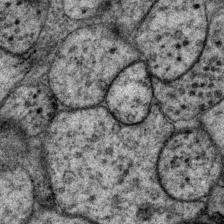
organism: P. pacificus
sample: Pharynx